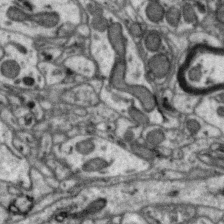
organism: Zebra finch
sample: Brain